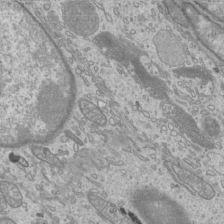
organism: Mouse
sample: Cilia; mouse epididymis